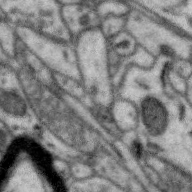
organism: Zebra finch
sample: Brain